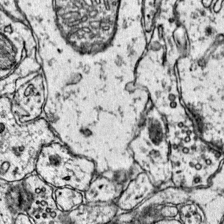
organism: Mouse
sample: Primary visual cortex